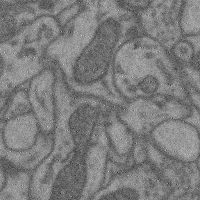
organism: Mouse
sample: Cerebral cortex